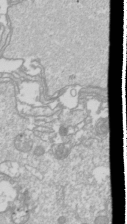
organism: Drosophila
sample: Cell division; meiosis; drosophila spermatocytes